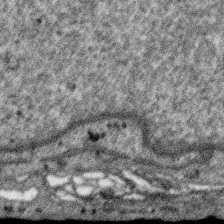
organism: Human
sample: Lung epithelial cells infected with SARS-CoV-2